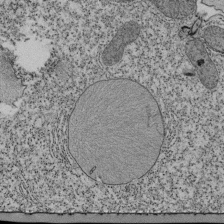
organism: Tetrahymena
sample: Cilia in tetrahymena